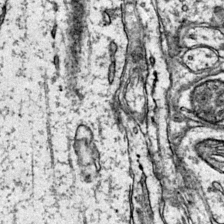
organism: Mouse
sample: Primary visual cortex